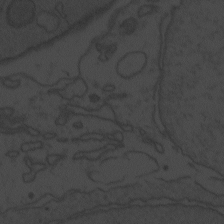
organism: Zebrafish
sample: Macrophage infected with Toxoplasma gondii